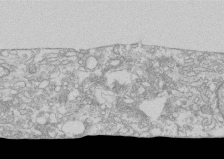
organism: Human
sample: CRL-1474